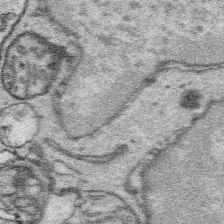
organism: Platynereis dumerilii